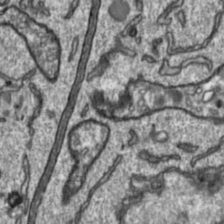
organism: Toxoplasma gondii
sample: Parasites in a vacuole inside a host cell